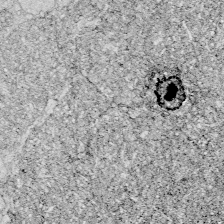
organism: Zebrafish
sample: Whole-Brain